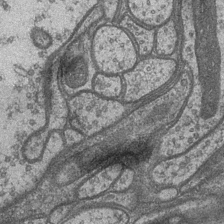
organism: Drosophila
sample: Optic medulla